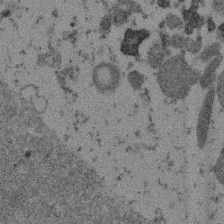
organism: Mouse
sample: Dividing mouse embryo 1 cell stage